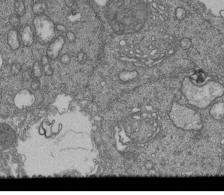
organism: Human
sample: Retinal organoid Rod and Cone cells